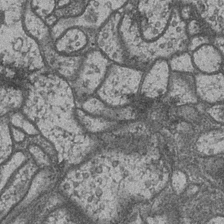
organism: Drosophila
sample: Optic medulla